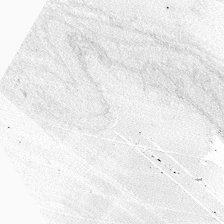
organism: Zebrafish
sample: Whole-Brain